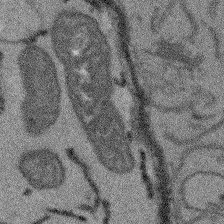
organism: Arabidopsis thaliana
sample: Root tip